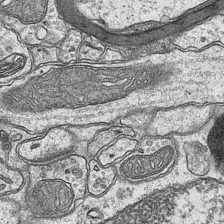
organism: Mouse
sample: CA1 Hippocampus